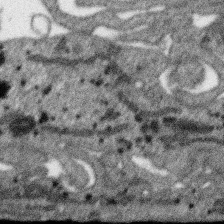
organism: Human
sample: Lung epithelial cells infected with SARS-CoV-2